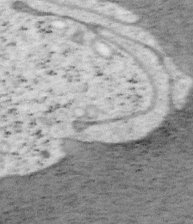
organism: Mouse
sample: OT-I killer T cells with ID8 ovarian cancer cells